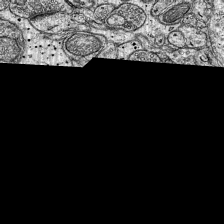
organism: Mouse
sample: Visual Cortex